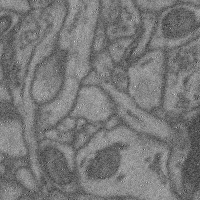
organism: Mouse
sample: Cerebral cortex